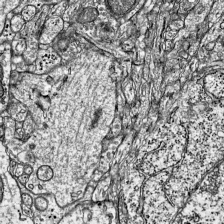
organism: Mouse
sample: Visual Cortex